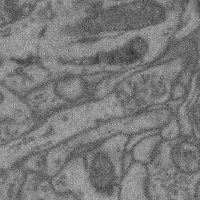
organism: Mouse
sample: Cerebral cortex